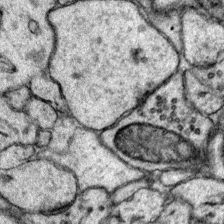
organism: Mouse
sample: Primary visual cortex